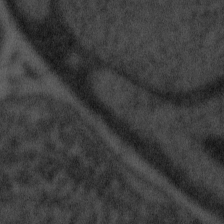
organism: Tuwongella immobilis